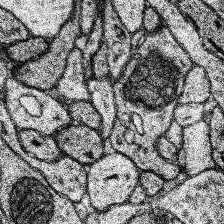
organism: Human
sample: Temporal Lobe